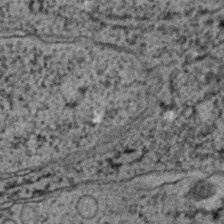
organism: C. elegans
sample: C. elegans embryo